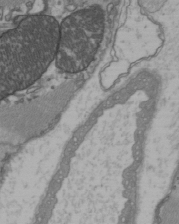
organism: C57BL Mouse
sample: Heart